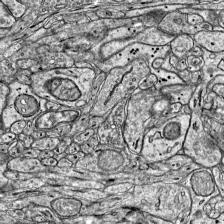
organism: Mouse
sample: Visual Cortex